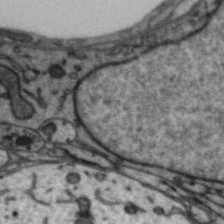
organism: Zebra finch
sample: Brain